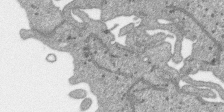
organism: Human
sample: Lung epithelial cells infected with SARS-CoV-2